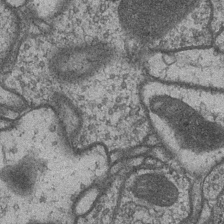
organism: Drosophila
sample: Optic medulla